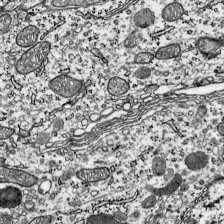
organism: Mouse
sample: Visual Cortex